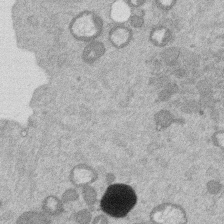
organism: Mouse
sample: Dividing mouse embryo 1 cell stage